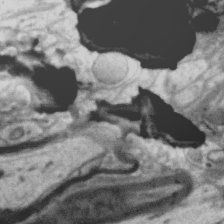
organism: Zebra finch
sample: Brain